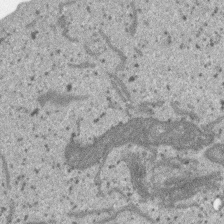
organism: Human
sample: Lung epithelial cells infected with SARS-CoV-2